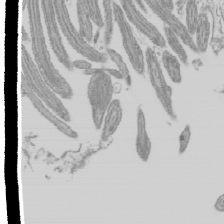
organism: Mouse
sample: Cilia; mouse epididymis